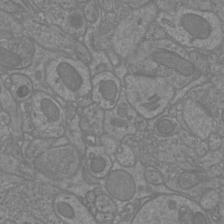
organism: Mouse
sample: Cortical neurons